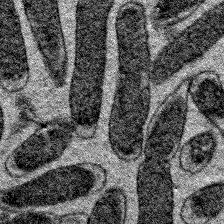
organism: E. coli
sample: E. Coli Bacteria